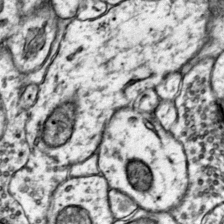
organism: Mouse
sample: Primary visual cortex